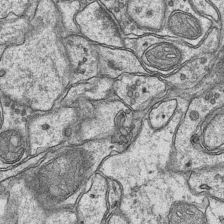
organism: Mouse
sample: CA1 Hippocampus